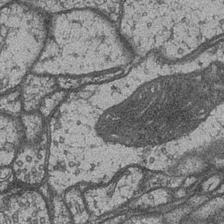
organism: Drosophila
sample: Optic medulla